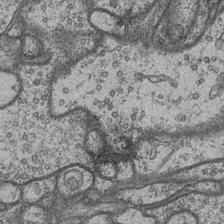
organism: Drosophila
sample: Optic medulla